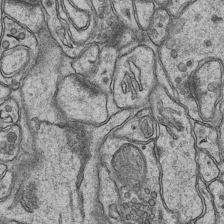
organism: Mouse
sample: CA1 Hippocampus